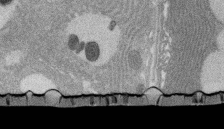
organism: Rat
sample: Salivary granule